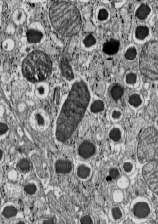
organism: C57BL Mouse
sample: Pancreatic islet